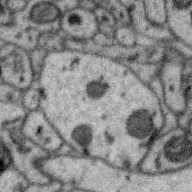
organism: Zebra finch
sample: Brain